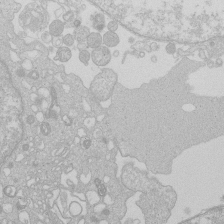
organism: Human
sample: Macrophage cells